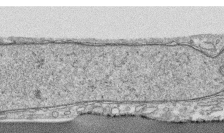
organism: Human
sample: CRL-1474